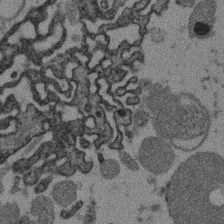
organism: Mouse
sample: Dividing mouse embryo 1 cell stage